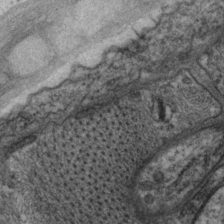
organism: P. pacificus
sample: Pharynx